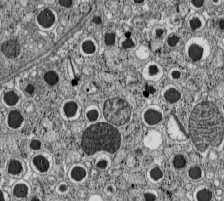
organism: C57BL Mouse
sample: Pancreatic islet